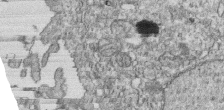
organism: Human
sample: HeLa cell HIV synapse